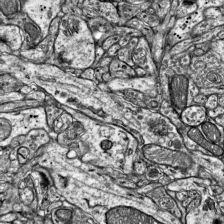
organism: Mouse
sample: Visual Cortex